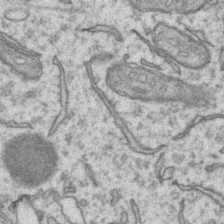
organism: Mouse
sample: CA1 Hippocampus